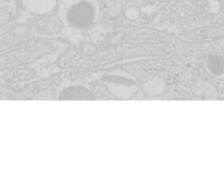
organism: Mouse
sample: Pancreas